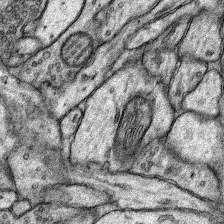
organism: Rat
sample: Hippocampus